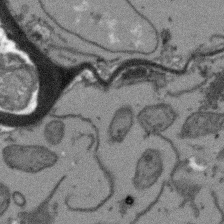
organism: Arabidopsis thaliana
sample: Root tip